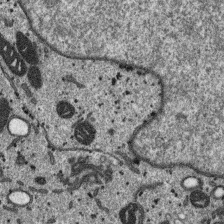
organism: Human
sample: Lung epithelial cells infected with SARS-CoV-2